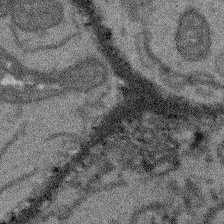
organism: Arabidopsis thaliana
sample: Root tip